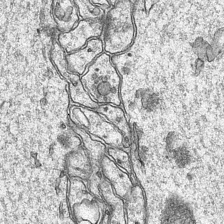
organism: Mouse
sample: CA1 Hippocampus